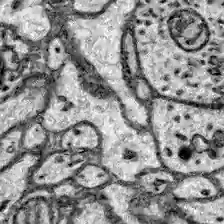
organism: Zebrafish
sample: Brain